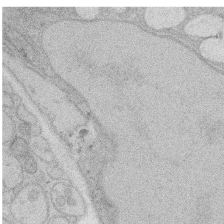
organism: Rat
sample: Salivary granule